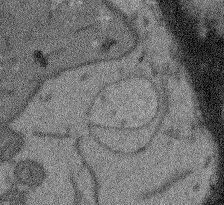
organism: Arabidopsis thaliana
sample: Root tip